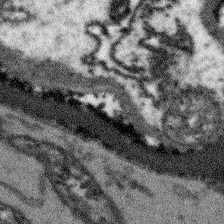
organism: Arabidopsis thaliana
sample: Root tip